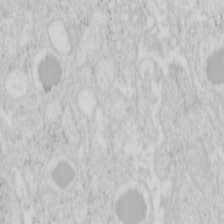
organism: Mouse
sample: Pancreas